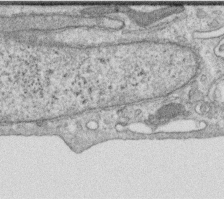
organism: Human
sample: Centriole in RPE cells